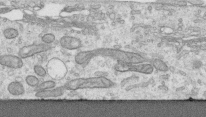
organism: Human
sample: Centriole in RPE cells